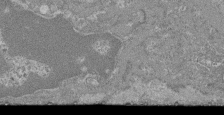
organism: Mouse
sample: Glomerulus